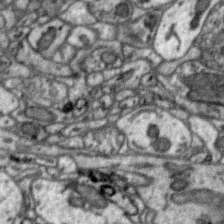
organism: Zebra finch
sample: Brain